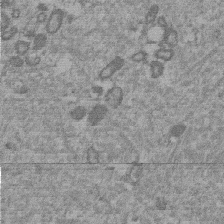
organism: Mouse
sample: Dividing mouse embryo 1 cell stage